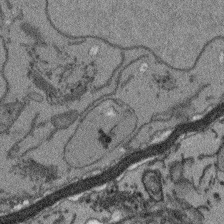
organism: Arabidopsis thaliana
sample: Root tip